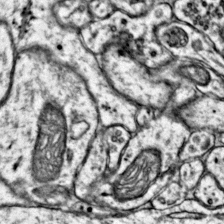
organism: Mouse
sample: Primary visual cortex